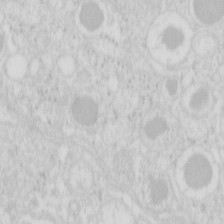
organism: Mouse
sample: Pancreas